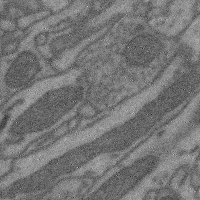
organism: Mouse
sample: Cerebral cortex